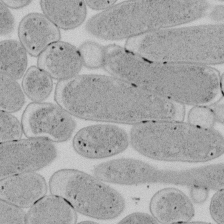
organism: E. coli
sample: Bacterial nucleoid